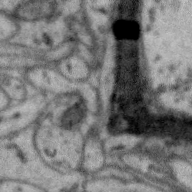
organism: Zebra finch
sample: Brain